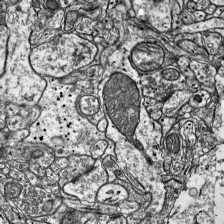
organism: Mouse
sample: Visual Cortex